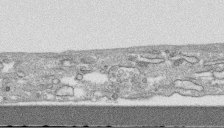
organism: Human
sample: CRL-1474